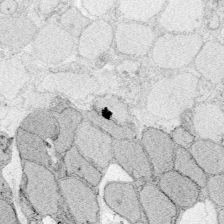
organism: Zebrafish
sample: Whole-Brain